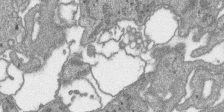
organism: Human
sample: Lung epithelial cells infected with SARS-CoV-2